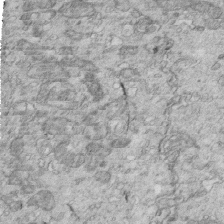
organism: Mouse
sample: Multiciliated cells